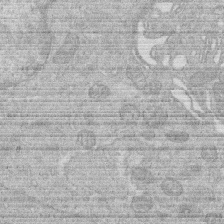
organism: Human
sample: Macrophage cells